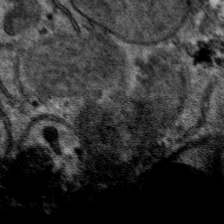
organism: Mouse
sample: Mouse hepatocytes